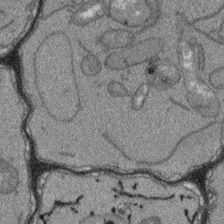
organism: Arabidopsis thaliana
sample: Root tip